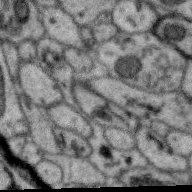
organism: Zebra finch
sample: Brain